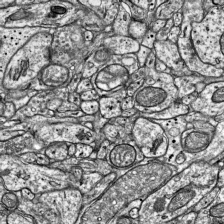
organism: Mouse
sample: Visual Cortex